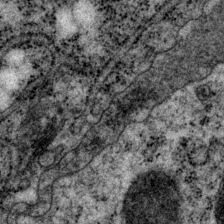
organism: P. pacificus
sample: Pharynx